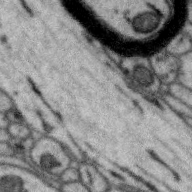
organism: Zebra finch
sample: Brain